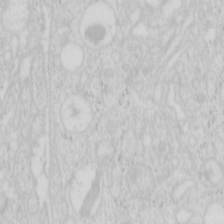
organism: Mouse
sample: Pancreas